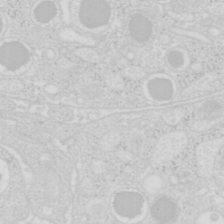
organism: Mouse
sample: Pancreas